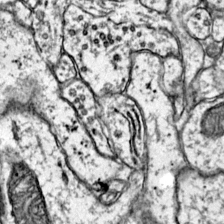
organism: Mouse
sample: Primary visual cortex